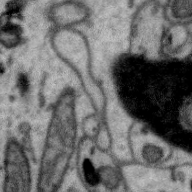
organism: Zebra finch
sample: Brain